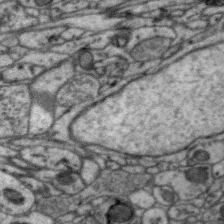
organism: Zebra finch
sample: Brain